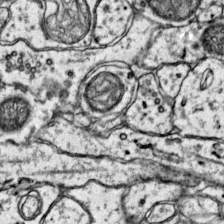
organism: Mouse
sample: Primary visual cortex